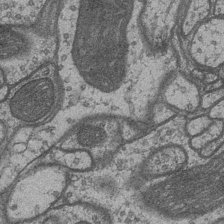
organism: Drosophila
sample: Optic medulla